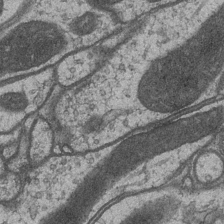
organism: Drosophila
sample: Optic medulla